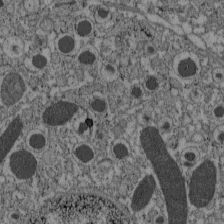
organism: C57BL Mouse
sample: Pancreatic islet